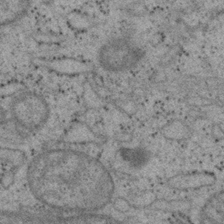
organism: Human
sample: HeLa cells